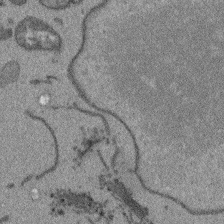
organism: Arabidopsis thaliana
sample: Root tip